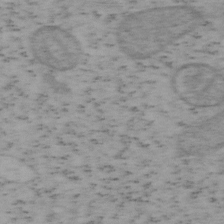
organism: Mouse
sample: OT-I killer T cells with ID8 ovarian cancer cells